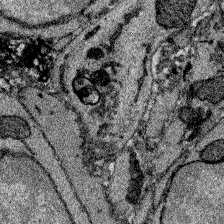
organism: Zebrafish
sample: Larval olfactory bulb